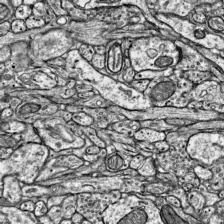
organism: Mouse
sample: Visual Cortex